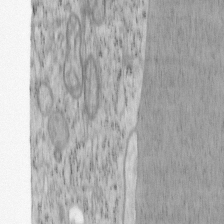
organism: Human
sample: HeLa cells